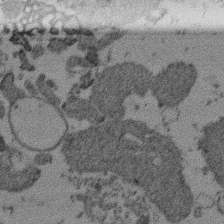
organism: Mouse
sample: Dividing mouse embryo 1 cell stage